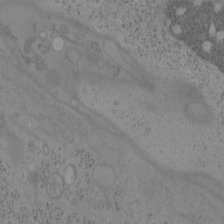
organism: Mouse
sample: OT-I killer T cells with ID8 ovarian cancer cells